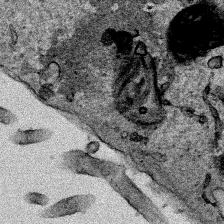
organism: Human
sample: Mitochondria in HCT116 cells